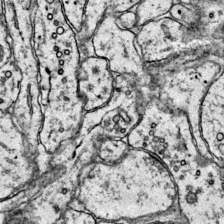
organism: Mouse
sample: Primary visual cortex